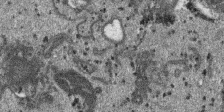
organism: Human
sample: Lung epithelial cells infected with SARS-CoV-2